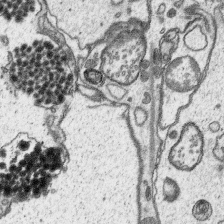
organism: Platynereis dumerilii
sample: Parapodia